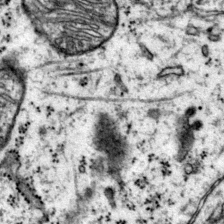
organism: Mouse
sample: Primary visual cortex